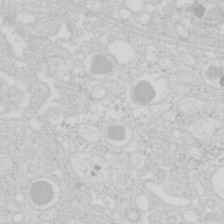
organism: Mouse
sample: Pancreas